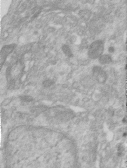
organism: Human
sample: Centriole in RPE cells